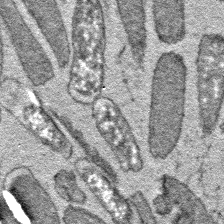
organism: E. coli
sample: E. Coli Bacteria